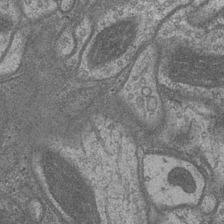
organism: Drosophila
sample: Optic medulla